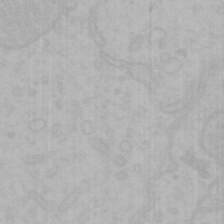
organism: Mouse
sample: Choroid plexus